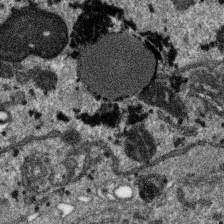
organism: Human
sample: Lung epithelial cells infected with SARS-CoV-2